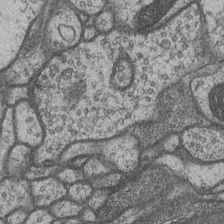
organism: Drosophila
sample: Optic medulla